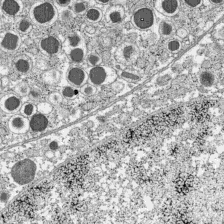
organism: C57BL Mouse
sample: Pancreatic islet